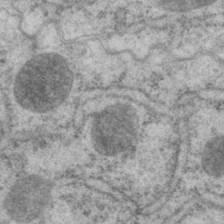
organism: P. pacificus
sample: Pharynx